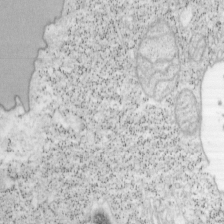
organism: Mouse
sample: OT-I killer T cells with ID8 ovarian cancer cells